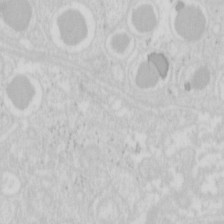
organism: Mouse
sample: Pancreas